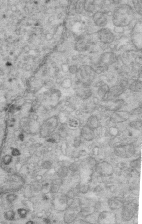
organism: Mouse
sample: Multiciliated cells